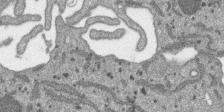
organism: Human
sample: Lung epithelial cells infected with SARS-CoV-2